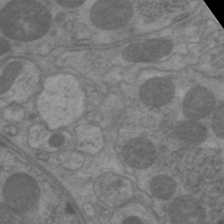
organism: C. elegans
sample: Pharynx